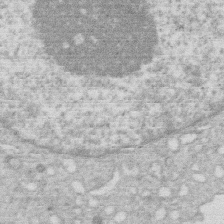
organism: Human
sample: Macrophage cells